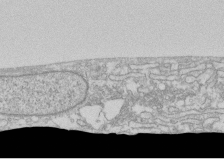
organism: Human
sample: CRL-1474